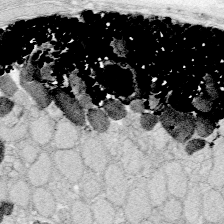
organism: Zebrafish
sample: Whole-Brain